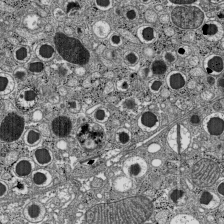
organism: C57BL Mouse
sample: Pancreatic islet